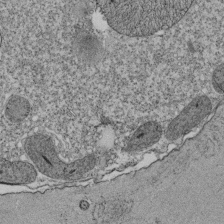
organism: Tetrahymena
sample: Cilia in tetrahymena